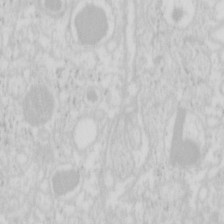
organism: Mouse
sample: Pancreas